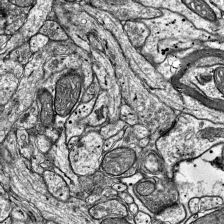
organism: Mouse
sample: Visual Cortex